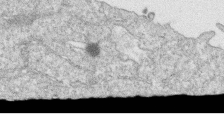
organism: Human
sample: HeLa cell HIV synapse